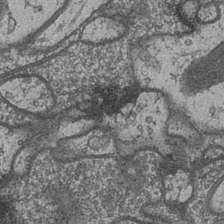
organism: Drosophila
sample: Optic medulla